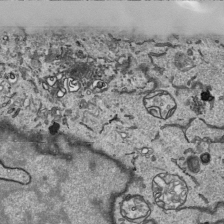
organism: Human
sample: Mitochondria in HCT116 cells